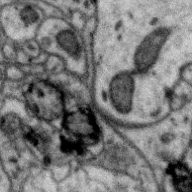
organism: Zebra finch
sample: Brain